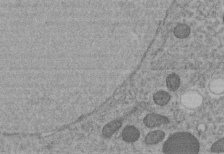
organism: C. elegans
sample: C. elegans embryo early stage